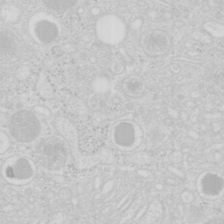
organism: Mouse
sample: Pancreas